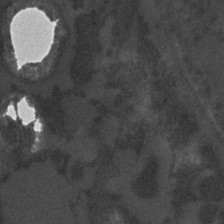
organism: C. elegans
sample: C. elegans embryo